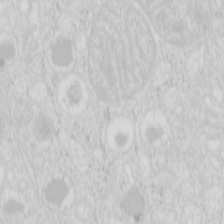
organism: Mouse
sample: Pancreas